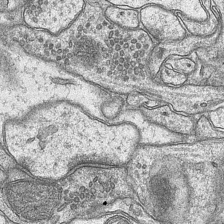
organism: Mouse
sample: CA1 Hippocampus